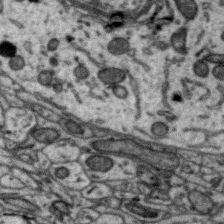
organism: Zebra finch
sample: Brain